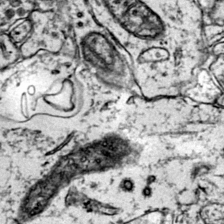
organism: Mouse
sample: Primary visual cortex